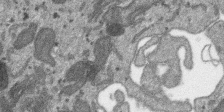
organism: Human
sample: Lung epithelial cells infected with SARS-CoV-2